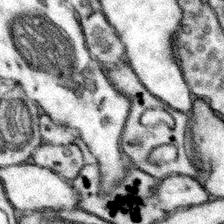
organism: Mouse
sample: Somatosensory cortex neuropil